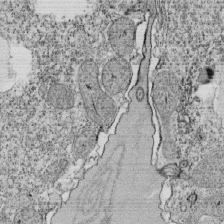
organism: Tetrahymena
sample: Cilia in tetrahymena